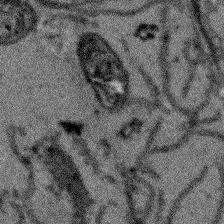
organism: Arabidopsis thaliana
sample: Root tip